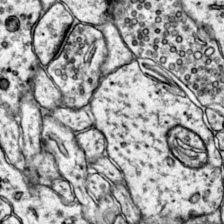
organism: Mouse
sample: Primary visual cortex